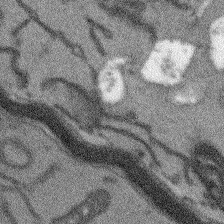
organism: Arabidopsis thaliana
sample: Root tip